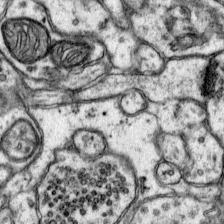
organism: Mouse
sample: Primary visual cortex